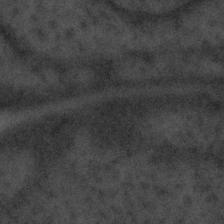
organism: Tuwongella immobilis